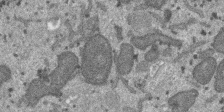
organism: Human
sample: Lung epithelial cells infected with SARS-CoV-2